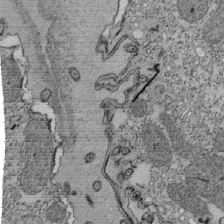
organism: Tetrahymena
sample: Cilia in tetrahymena